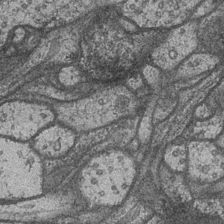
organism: Drosophila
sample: Optic medulla